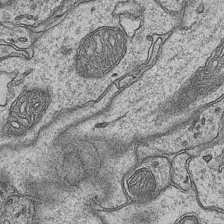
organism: Mouse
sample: CA1 Hippocampus